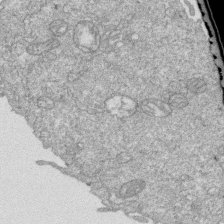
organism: Human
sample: HeLa cell HIV synapse